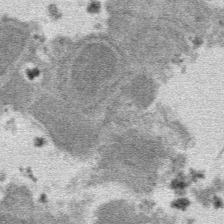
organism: Mouse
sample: Mouse hepatocytes